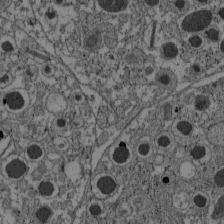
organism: C57BL Mouse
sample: Pancreatic islet